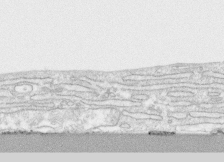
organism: Human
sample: CRL-1474